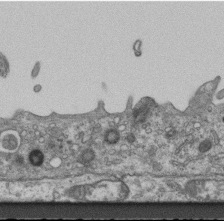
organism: Mouse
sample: Centriole in ependymal cells